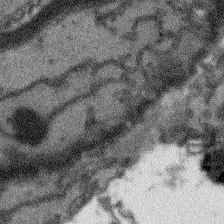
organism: Arabidopsis thaliana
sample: Root tip